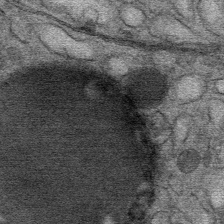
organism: Mouse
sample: Mouse Salivary gland